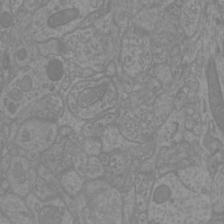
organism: Mouse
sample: Cortical neurons